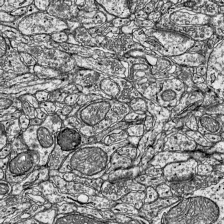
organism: Mouse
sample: Visual Cortex